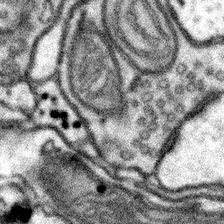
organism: Mouse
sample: Somatosensory cortex neuropil